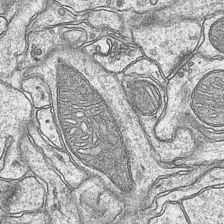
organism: Mouse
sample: CA1 Hippocampus